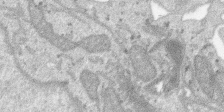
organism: Human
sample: Lung epithelial cells infected with SARS-CoV-2